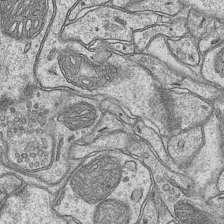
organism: Mouse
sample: CA1 Hippocampus